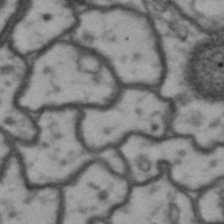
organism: Drosophila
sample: Brain